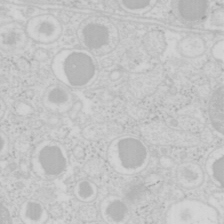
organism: Mouse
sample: Pancreas